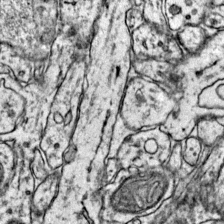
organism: Mouse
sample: Primary visual cortex